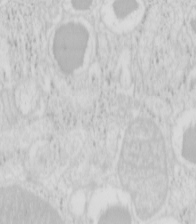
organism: Mouse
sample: Pancreas